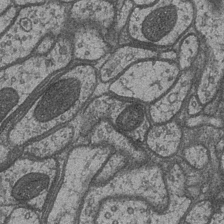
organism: Drosophila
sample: Optic medulla